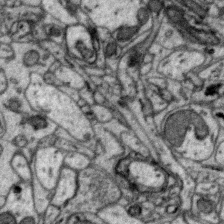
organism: Zebra finch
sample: Brain